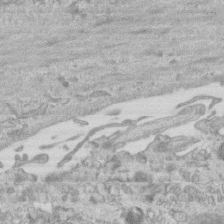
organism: Mouse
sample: Centriole in ependymal cells